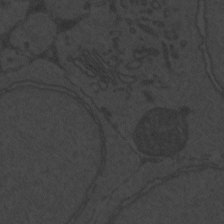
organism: Zebrafish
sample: Macrophage infected with Toxoplasma gondii